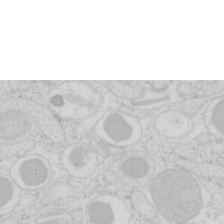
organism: Mouse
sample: Pancreas